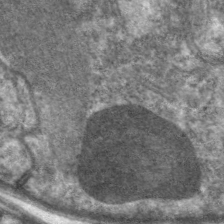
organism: C. elegans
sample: Pharynx